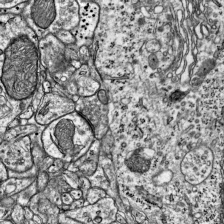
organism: Mouse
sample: Visual Cortex